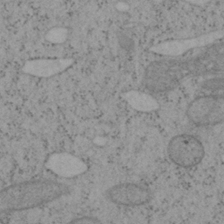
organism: Mouse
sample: OT-I killer T cells with ID8 ovarian cancer cells